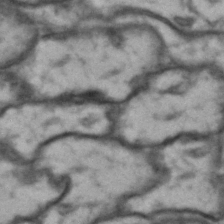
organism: Drosophila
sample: Brain